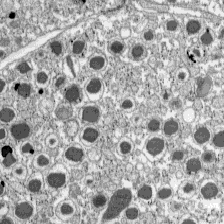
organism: C57BL Mouse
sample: Pancreatic islet